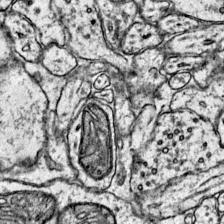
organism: Mouse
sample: Primary visual cortex